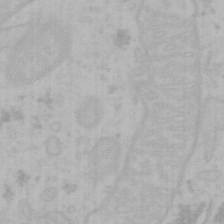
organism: Mouse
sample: Choroid plexus